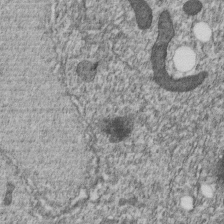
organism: C. elegans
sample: C. elegans embryo early stage